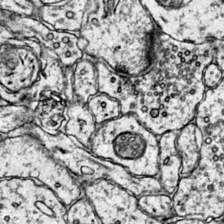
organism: Mouse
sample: Primary visual cortex